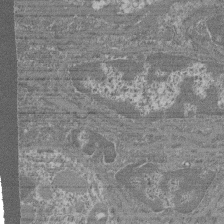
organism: Mouse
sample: Glomerulus